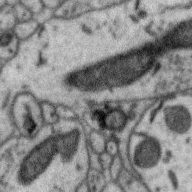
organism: Zebra finch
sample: Brain